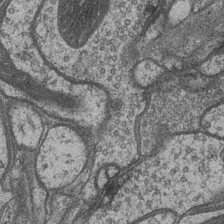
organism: Drosophila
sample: Optic medulla